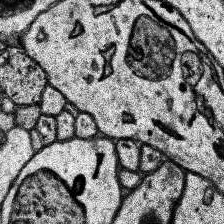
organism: Human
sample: Temporal Lobe